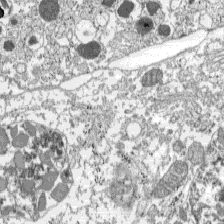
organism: C57BL Mouse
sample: Pancreatic islet